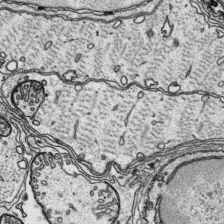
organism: Platynereis dumerilii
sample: Parapodia